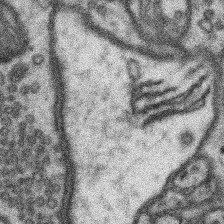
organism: Mouse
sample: Somatosensory cortex neuropil